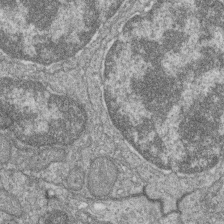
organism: Zebrafish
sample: Cilia; retinal pigment epithelium